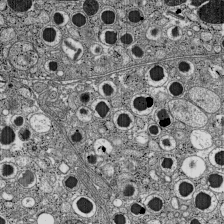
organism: C57BL Mouse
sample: Pancreatic islet